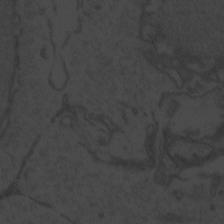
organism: Zebrafish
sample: Macrophage infected with Toxoplasma gondii